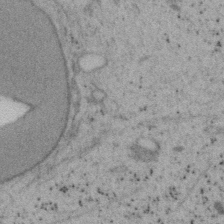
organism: Human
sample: HeLa cells